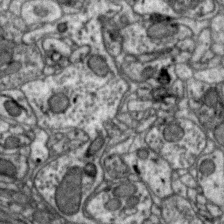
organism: Zebra finch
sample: Brain